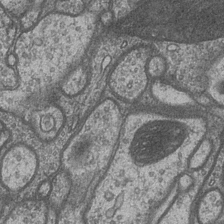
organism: Drosophila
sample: Optic medulla